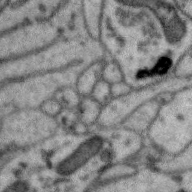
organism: Zebra finch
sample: Brain